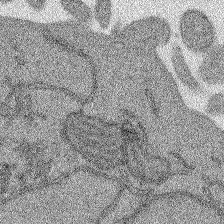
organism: Human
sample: HeLa cells